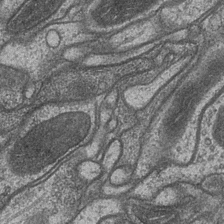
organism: Drosophila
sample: Optic medulla